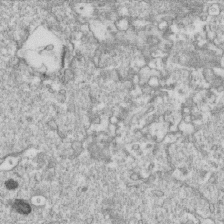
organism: Mouse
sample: Activated OT-1 CD8+ T cells